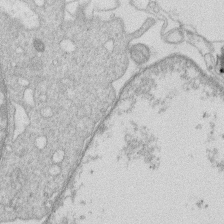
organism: Human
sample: Macrophage cells